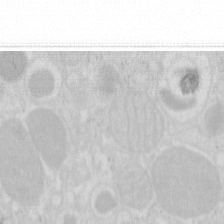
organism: Mouse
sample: Pancreas